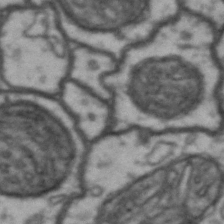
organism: Drosophila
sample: Brain